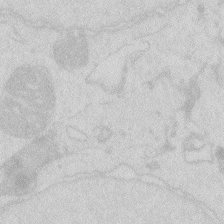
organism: Zebrafish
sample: Macrophage